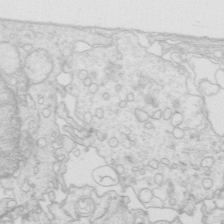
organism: Mouse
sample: Multiciliated cells